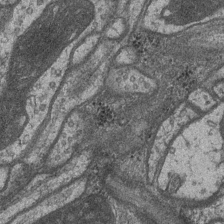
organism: Drosophila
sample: Optic medulla